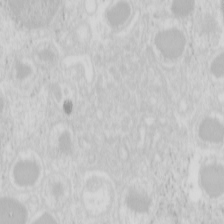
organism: Mouse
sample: Pancreas